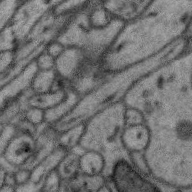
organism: Zebra finch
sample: Brain